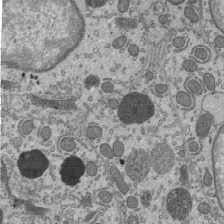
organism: Mouse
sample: Mouse epididymis efferent ductule cilia